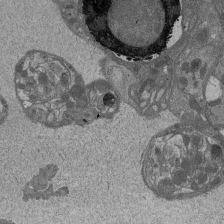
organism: Drosophila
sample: Antenna